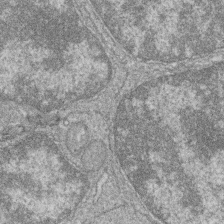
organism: Zebrafish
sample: Cilia; retinal pigment epithelium